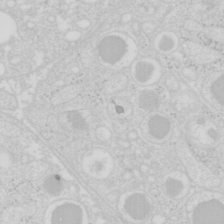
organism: Mouse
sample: Pancreas